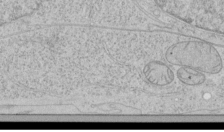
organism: Human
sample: Mitochondria in HCT116 cells